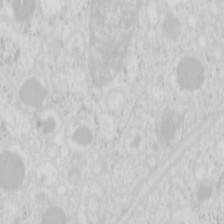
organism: Mouse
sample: Pancreas